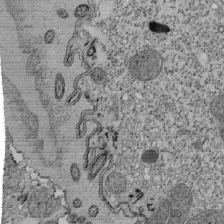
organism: Tetrahymena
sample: Cilia in tetrahymena